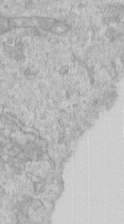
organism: Human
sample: Centriole in RPE cells